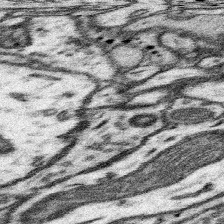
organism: Mouse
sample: Somatosensory cortex neuropil